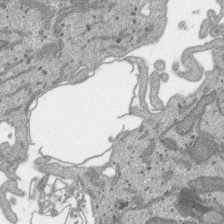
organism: Human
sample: Lung epithelial cells infected with SARS-CoV-2